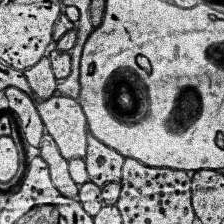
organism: Human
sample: Temporal Lobe